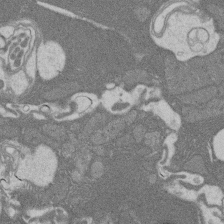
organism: Rat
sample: Salivary granule